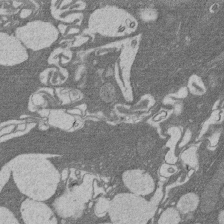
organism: Rat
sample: Salivary granule